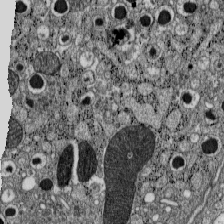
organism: C57BL Mouse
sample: Pancreatic islet